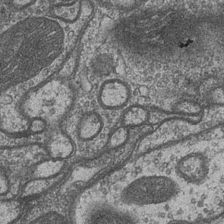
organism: Drosophila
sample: Optic medulla